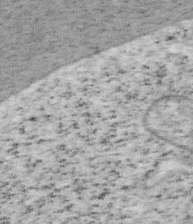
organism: Mouse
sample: OT-I killer T cells with ID8 ovarian cancer cells